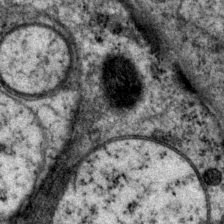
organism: P. pacificus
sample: Pharynx